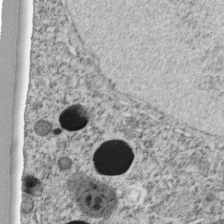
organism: C. elegans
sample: C. elegans embryo early stage